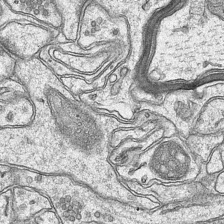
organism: Mouse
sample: CA1 Hippocampus